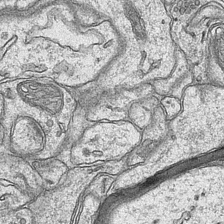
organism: Mouse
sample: CA1 Hippocampus